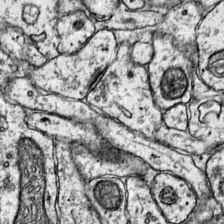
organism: Mouse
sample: Primary visual cortex